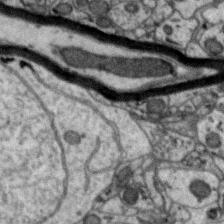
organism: Zebra finch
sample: Brain